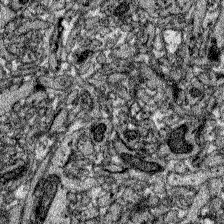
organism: Zebrafish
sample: Larval olfactory bulb